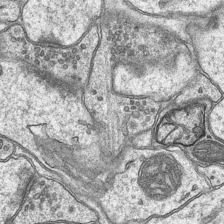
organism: Mouse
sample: CA1 Hippocampus